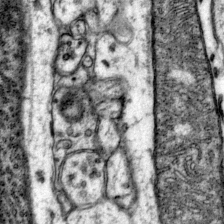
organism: Mouse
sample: Primary visual cortex